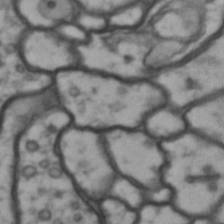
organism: Drosophila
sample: Brain